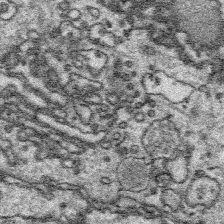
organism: Platynereis dumerilii